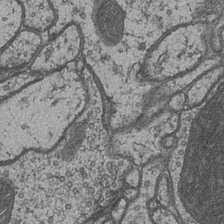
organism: Drosophila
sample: Optic medulla